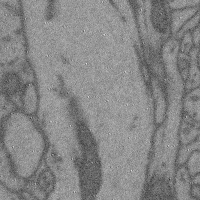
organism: Mouse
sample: Cerebral cortex